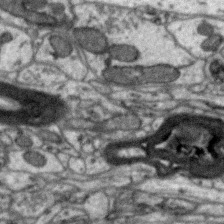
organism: Zebra finch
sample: Brain